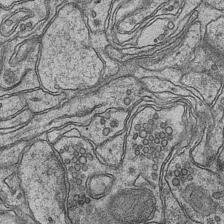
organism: Mouse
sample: CA1 Hippocampus